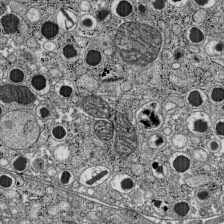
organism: C57BL Mouse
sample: Pancreatic islet